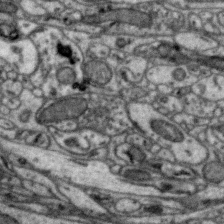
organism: Zebra finch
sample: Brain